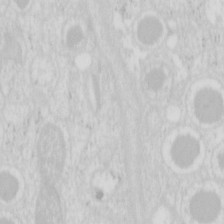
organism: Mouse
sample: Pancreas